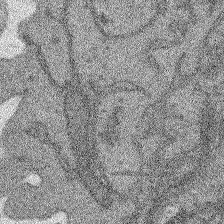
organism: Human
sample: HeLa cells